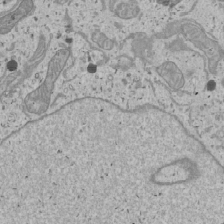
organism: Human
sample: Mitochondria in U2OS cells